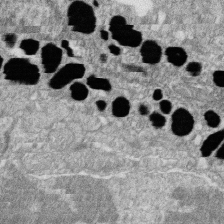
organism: Zebrafish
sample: Cilia; retinal pigment epithelium